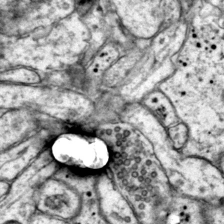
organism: Mouse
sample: Primary visual cortex